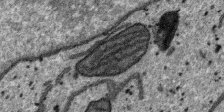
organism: Human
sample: Lung epithelial cells, uninfected (mock) control